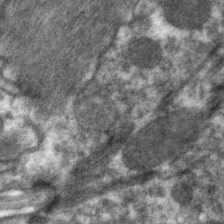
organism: C. elegans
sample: Pharynx